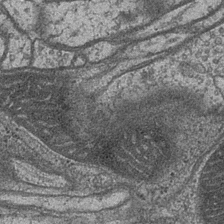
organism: Drosophila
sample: Optic medulla